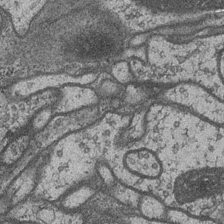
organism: Drosophila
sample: Optic medulla